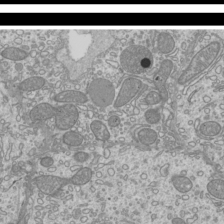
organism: Mouse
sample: Cilia; mouse epididymis